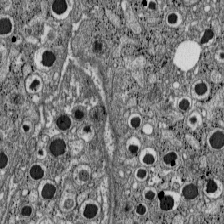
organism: C57BL Mouse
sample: Pancreatic islet